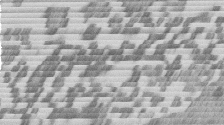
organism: Mouse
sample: Dividing mouse embryo 1 cell stage